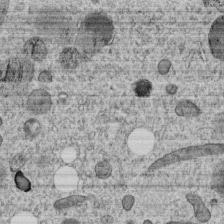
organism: C. elegans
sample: C. elegans embryo early stage